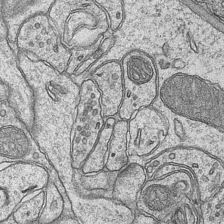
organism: Mouse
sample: CA1 Hippocampus